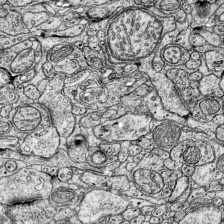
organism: Mouse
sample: Visual Cortex